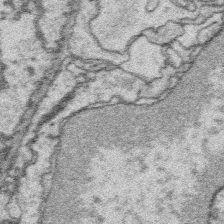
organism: Platynereis dumerilii